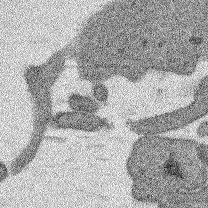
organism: Human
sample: HeLa cells